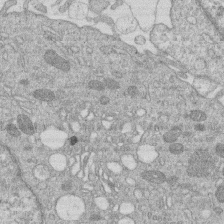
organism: Human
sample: Macrophage cells